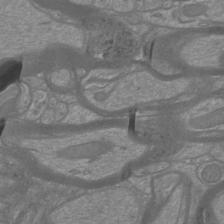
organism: Mouse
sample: Cortical neurons